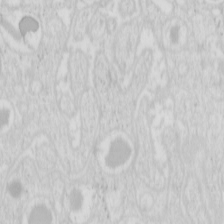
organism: Mouse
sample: Pancreas